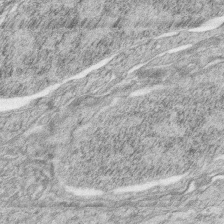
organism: Zebrafish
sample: synaptic ribbons in rod cells and cone cells